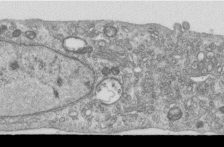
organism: Human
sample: Centriole in RPE cells